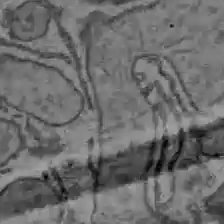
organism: C57BL Mouse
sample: Liver